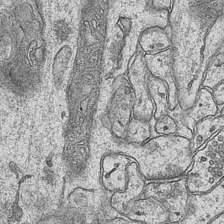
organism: Mouse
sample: CA1 Hippocampus